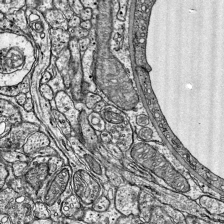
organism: Mouse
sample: Visual Cortex